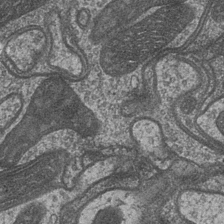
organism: Drosophila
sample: Optic medulla